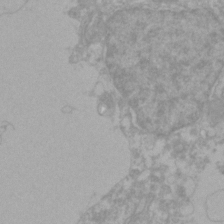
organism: Zebrafish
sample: Zebrafish embryo